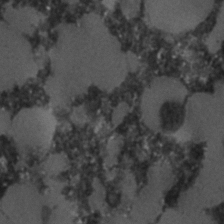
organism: C. elegans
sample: C. elegans embryo